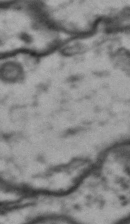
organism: Drosophila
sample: Brain